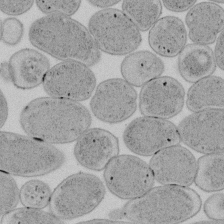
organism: E. coli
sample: Bacterial nucleoid